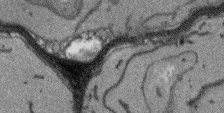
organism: Arabidopsis thaliana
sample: Root tip